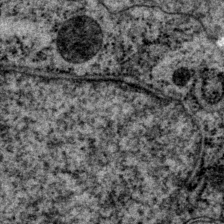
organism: P. pacificus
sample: Pharynx